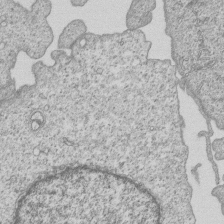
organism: Human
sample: MDA-MB-231 cells